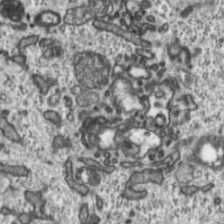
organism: Toxoplasma gondii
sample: Parasites in a vacuole inside a host cell